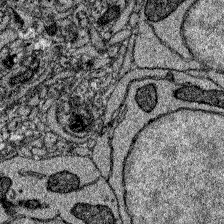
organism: Zebrafish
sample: Larval olfactory bulb